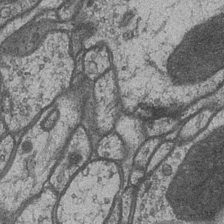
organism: Drosophila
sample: Optic medulla